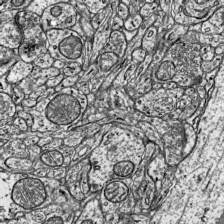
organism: Mouse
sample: Visual Cortex